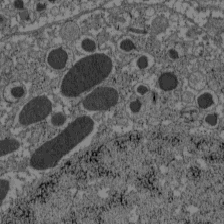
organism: C57BL Mouse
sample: Pancreatic islet